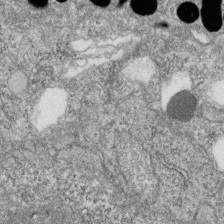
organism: Zebrafish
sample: Cilia; retinal pigment epithelium